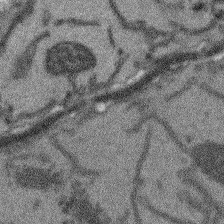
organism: Arabidopsis thaliana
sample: Root tip